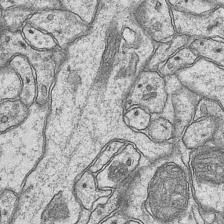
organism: Mouse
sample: CA1 Hippocampus